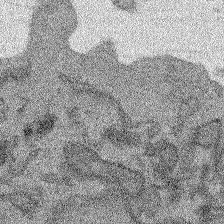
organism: Human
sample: HeLa cells